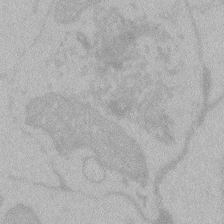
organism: Zebrafish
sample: Macrophage infected with Toxoplasma gondii